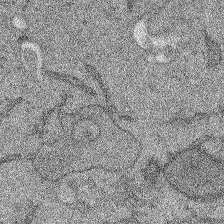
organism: Human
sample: HeLa cells